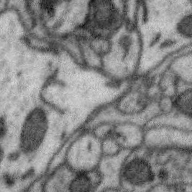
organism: Zebra finch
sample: Brain